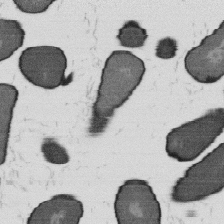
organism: B. subtilis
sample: Bacterial spore